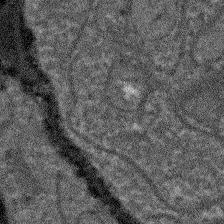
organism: Arabidopsis thaliana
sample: Root tip